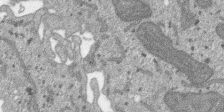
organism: Human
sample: Lung epithelial cells infected with SARS-CoV-2